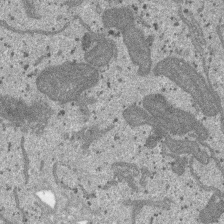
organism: Human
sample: Lung epithelial cells infected with SARS-CoV-2